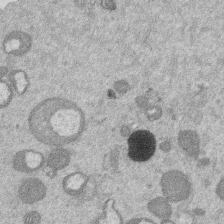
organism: Mouse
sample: Dividing mouse embryo 1 cell stage